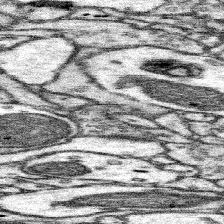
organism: Mouse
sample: Somatosensory cortex neuropil